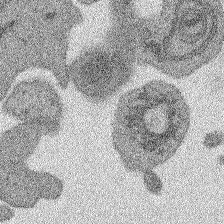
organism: Human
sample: HeLa cells